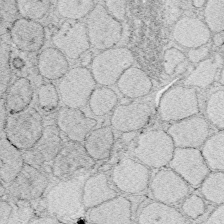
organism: Zebrafish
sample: Whole-Brain